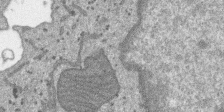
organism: Human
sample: Lung epithelial cells infected with SARS-CoV-2